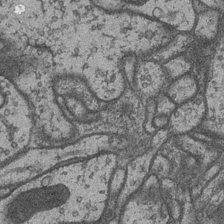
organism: Drosophila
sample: Optic medulla